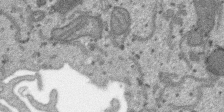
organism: Human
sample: Lung epithelial cells infected with SARS-CoV-2